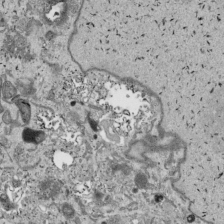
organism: Human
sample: Mitochondria in HCT116 cells